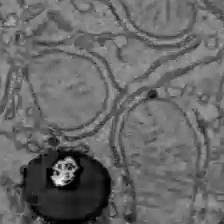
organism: C57BL Mouse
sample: Liver